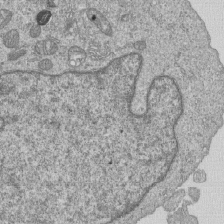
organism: Human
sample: MDA-MB-231 cells